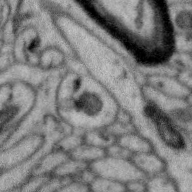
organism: Zebra finch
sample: Brain